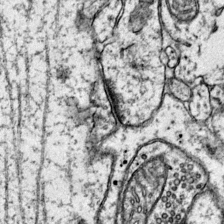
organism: Mouse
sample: Primary visual cortex